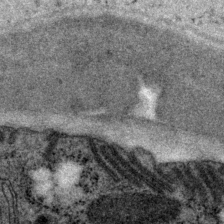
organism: P. pacificus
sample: Pharynx